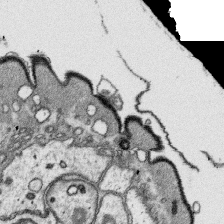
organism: Platynereis dumerilii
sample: Parapodia